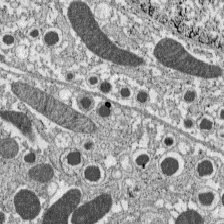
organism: C57BL Mouse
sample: Pancreatic islet